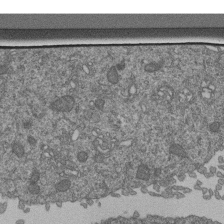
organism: Human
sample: Retinal organoid Rod and Cone cells